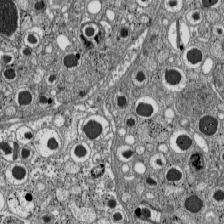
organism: C57BL Mouse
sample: Pancreatic islet